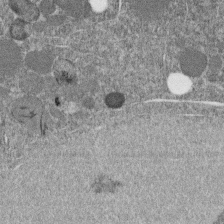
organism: C. elegans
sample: C. elegans embryo early stage